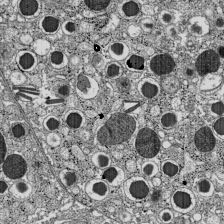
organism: C57BL Mouse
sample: Pancreatic islet